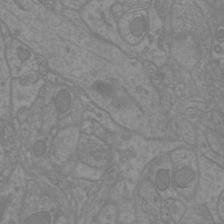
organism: Mouse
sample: Cortical neurons